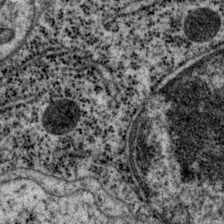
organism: P. pacificus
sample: Pharynx